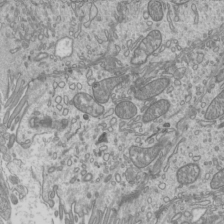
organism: Mouse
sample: Cilia; mouse epididymis